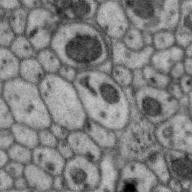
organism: Zebra finch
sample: Brain